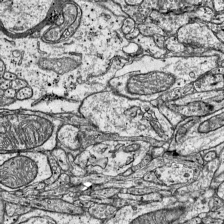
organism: Mouse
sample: Visual Cortex